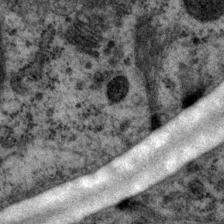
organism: P. pacificus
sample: Pharynx